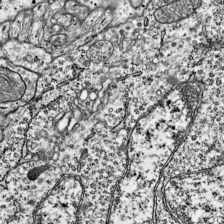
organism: Mouse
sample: Visual Cortex